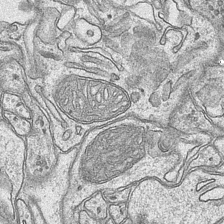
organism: Mouse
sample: CA1 Hippocampus